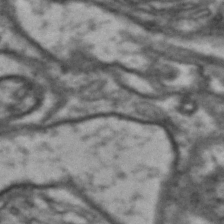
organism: Drosophila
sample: Brain